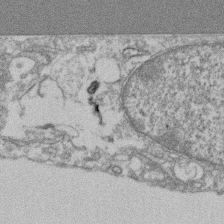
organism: Mouse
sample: T cell stromal cell synapse